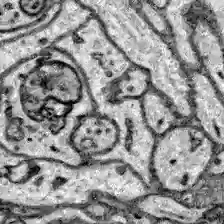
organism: Zebrafish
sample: Brain